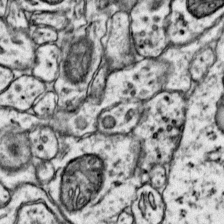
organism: Mouse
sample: Primary visual cortex